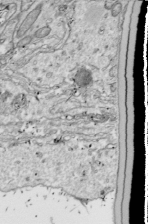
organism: Drosophila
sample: Cell division; meiosis; drosophila spermatocytes